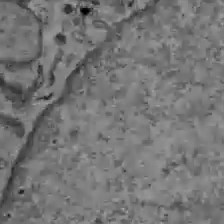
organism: C57BL Mouse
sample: Liver